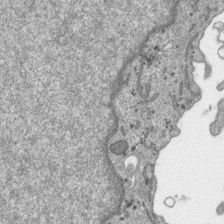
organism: Human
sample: Lung epithelial cells infected with SARS-CoV-2